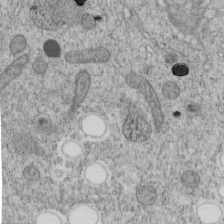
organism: C. elegans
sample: C. elegans embryo early stage